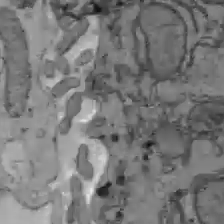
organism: C57BL Mouse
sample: Liver